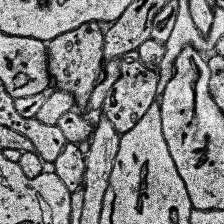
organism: Human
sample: Temporal Lobe